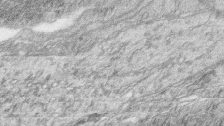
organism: Zebrafish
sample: synaptic ribbons in rod cells and cone cells